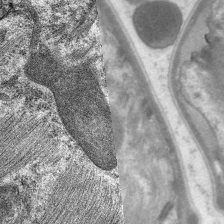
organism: C. elegans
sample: Pharynx